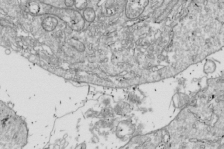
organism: Drosophila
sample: Cell division; meiosis; drosophila spermatocytes